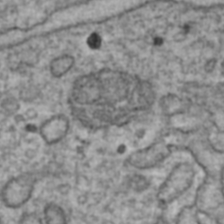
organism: Human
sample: Blood